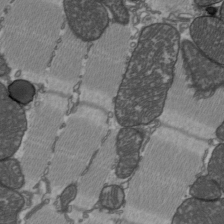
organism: C57BL Mouse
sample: Heart